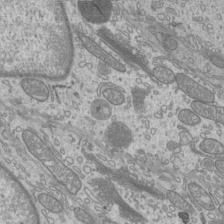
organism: Mouse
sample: Cilia; mouse epididymis